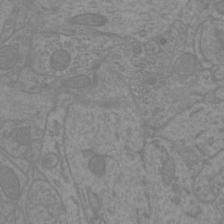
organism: Mouse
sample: Cortical neurons